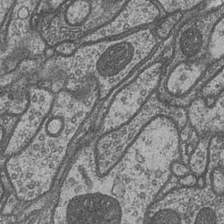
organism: Drosophila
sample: Optic medulla